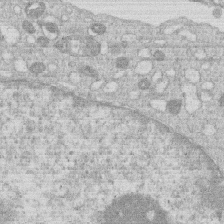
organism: Human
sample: Macrophage cells